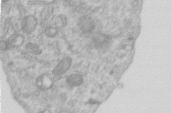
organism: Human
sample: Centriole in RPE cells